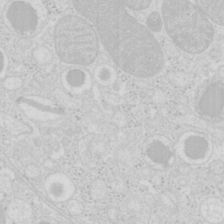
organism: Mouse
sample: Pancreas